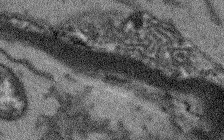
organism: Arabidopsis thaliana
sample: Root tip